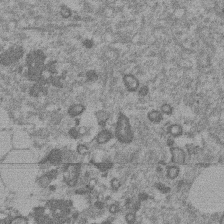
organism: Mouse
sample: Dividing mouse embryo 1 cell stage